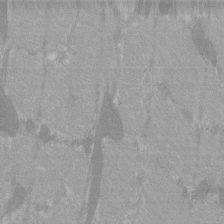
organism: C57BL Mouse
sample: Tibialis anterior muscle cell